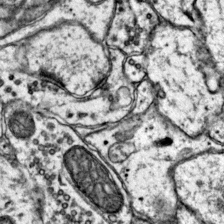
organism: Mouse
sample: Primary visual cortex